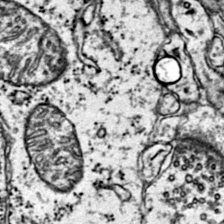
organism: Mouse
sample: Primary visual cortex